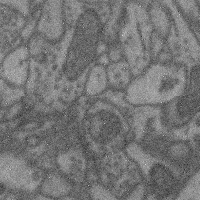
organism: Mouse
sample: Cerebral cortex